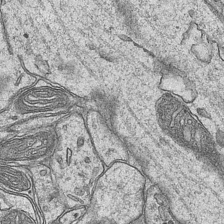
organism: Mouse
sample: CA1 Hippocampus